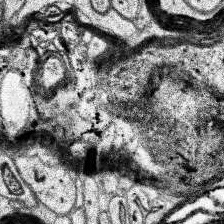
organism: Human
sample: Temporal Lobe